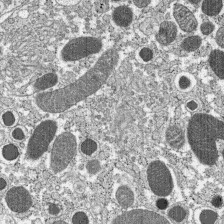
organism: C57BL Mouse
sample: Pancreatic islet